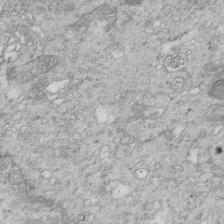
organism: Mouse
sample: Multiciliated cells